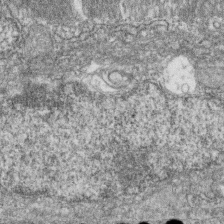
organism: Zebrafish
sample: Cilia; retinal pigment epithelium